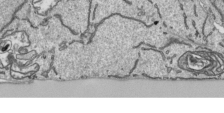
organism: Human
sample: Mitochondria in HCT116 cells